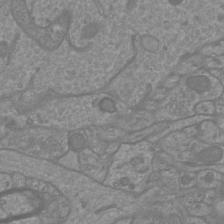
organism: Mouse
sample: Cortical neurons